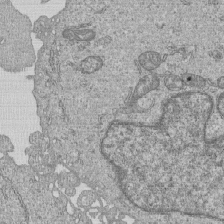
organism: Human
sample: MDA-MB-231 cells